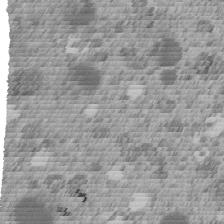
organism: C. elegans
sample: C. elegans embryo early stage